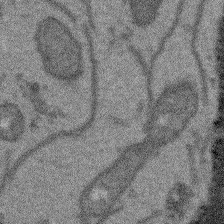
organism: Arabidopsis thaliana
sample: Root tip